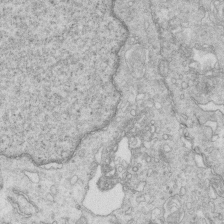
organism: Mouse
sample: Multiciliated cells